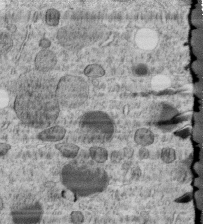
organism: C. elegans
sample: C. elegans embryo early stage